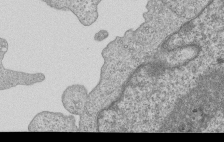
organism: Human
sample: MDA-MB-231 cells